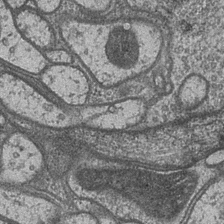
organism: Drosophila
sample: Optic medulla